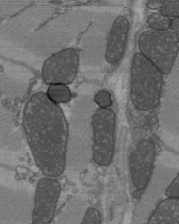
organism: C57BL Mouse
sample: Heart